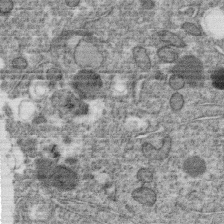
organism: C. elegans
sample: C. elegans oocyte; sperm cells